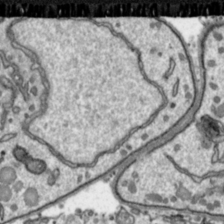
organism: Toxoplasma gondii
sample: Parasites in a vacuole inside a host cell